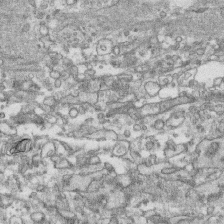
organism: Human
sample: CRL-1474